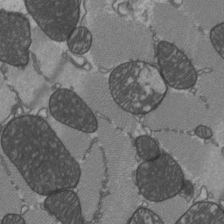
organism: C57BL Mouse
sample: Heart